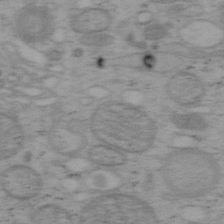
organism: Mouse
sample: OT-I killer T cells with ID8 ovarian cancer cells